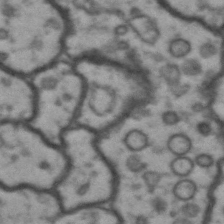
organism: Drosophila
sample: Brain